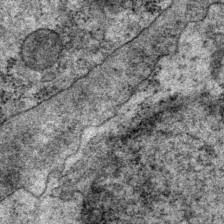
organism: P. pacificus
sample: Pharynx